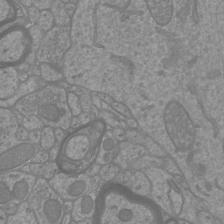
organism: Mouse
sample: Cortical neurons